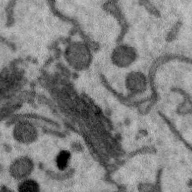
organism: Zebra finch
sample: Brain